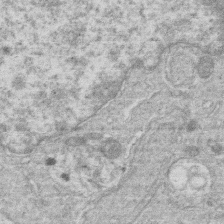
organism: Human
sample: Macrophage cells